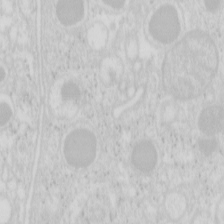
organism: Mouse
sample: Pancreas